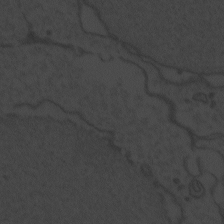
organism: Zebrafish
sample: Macrophage infected with Toxoplasma gondii